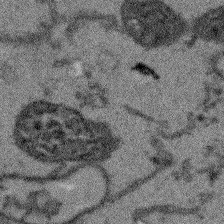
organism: Arabidopsis thaliana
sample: Root tip